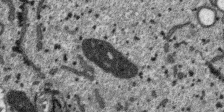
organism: Human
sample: Lung epithelial cells infected with SARS-CoV-2